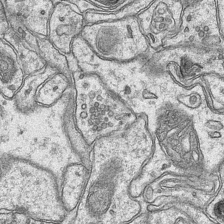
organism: Mouse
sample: CA1 Hippocampus